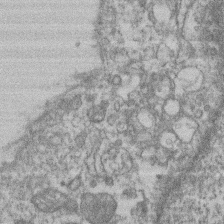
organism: Mouse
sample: T cell stromal cell synapse